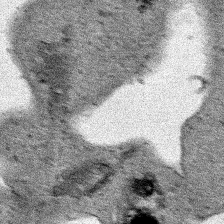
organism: Human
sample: Mitochondria in HCT116 cells